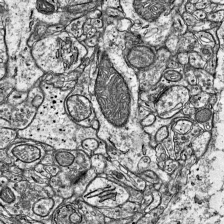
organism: Mouse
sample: Visual Cortex